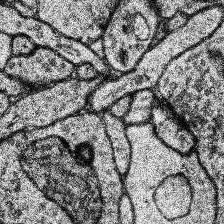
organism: Human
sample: Temporal Lobe